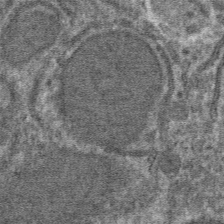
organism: Mouse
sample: Mouse hepatocytes